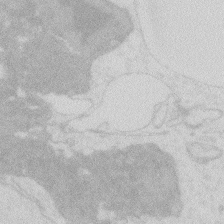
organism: Zebrafish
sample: Macrophage